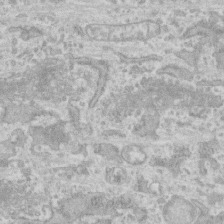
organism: Human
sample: CRL-1474